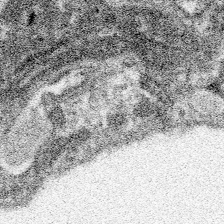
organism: Spongilla lacustris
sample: Neuroid cell